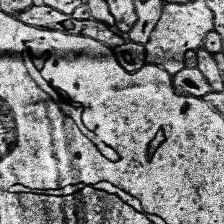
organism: Human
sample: Temporal Lobe